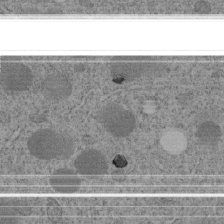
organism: C. elegans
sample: C. elegans embryo early stage